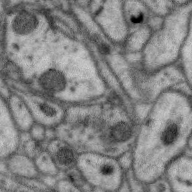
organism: Zebra finch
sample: Brain